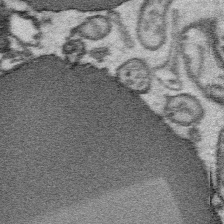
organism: Platynereis dumerilii